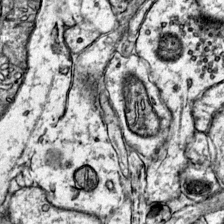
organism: Mouse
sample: Primary visual cortex